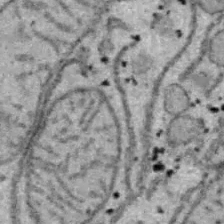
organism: Mouse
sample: Liver from an obese (ob/ob) mouse